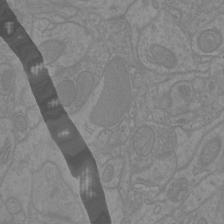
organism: Mouse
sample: Cortical neurons